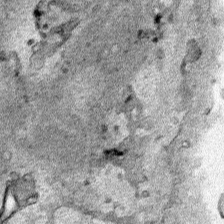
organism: Human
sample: Mitochondria in HCT116 cells